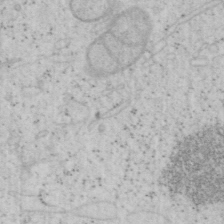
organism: Human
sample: HeLa cells